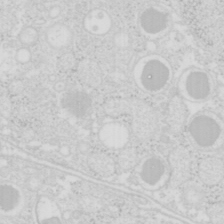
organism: Mouse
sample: Pancreas